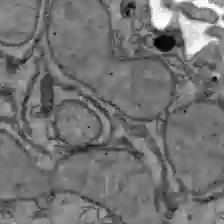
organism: C57BL Mouse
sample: Liver